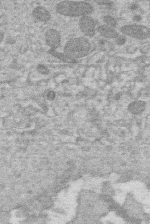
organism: Human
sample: Macrophage cells